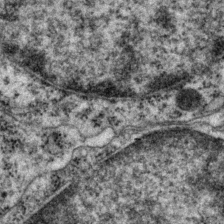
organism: P. pacificus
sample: Pharynx